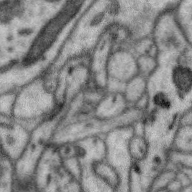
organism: Zebra finch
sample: Brain